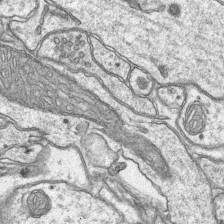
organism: Mouse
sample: CA1 Hippocampus